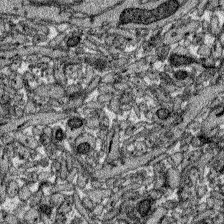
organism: Zebrafish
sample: Larval olfactory bulb